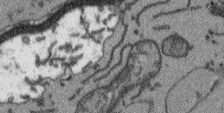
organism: Arabidopsis thaliana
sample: Root tip